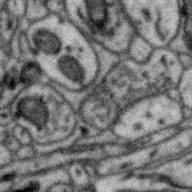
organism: Zebra finch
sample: Brain